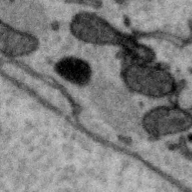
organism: Zebra finch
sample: Brain